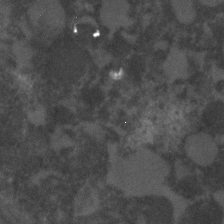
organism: C. elegans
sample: C. elegans embryo